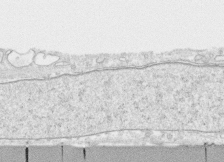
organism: Human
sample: CRL-1474